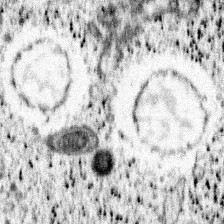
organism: Human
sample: HeLa cells